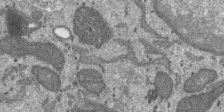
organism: Human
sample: Lung epithelial cells infected with SARS-CoV-2